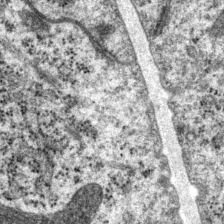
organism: P. pacificus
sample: Pharynx